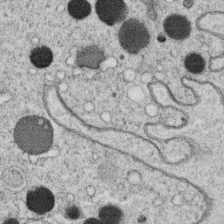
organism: C. elegans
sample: C. elegans oocyte; sperm cells